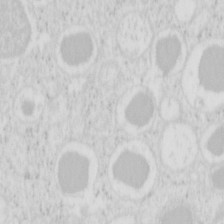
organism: Mouse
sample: Pancreas